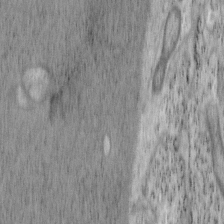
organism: Human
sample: HeLa cells